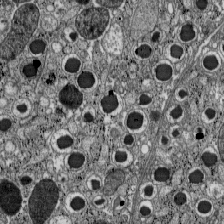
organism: C57BL Mouse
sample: Pancreatic islet